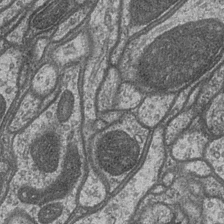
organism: Drosophila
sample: Optic medulla